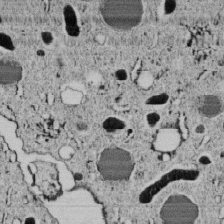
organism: C. elegans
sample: C. elegans embryo early stage